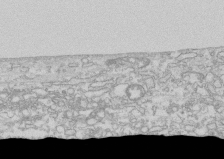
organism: Human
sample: CRL-1474